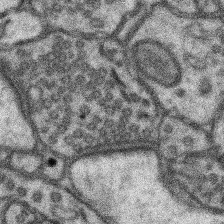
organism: Mouse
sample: Somatosensory cortex neuropil